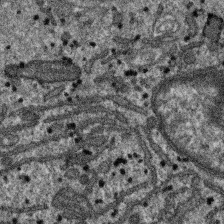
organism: Human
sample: Lung epithelial cells infected with SARS-CoV-2